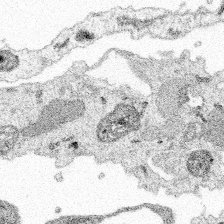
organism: Spongilla lacustris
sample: Multiple